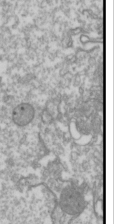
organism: Drosophila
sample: Cell division; meiosis; drosophila spermatocytes